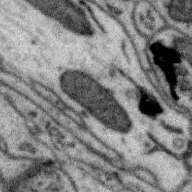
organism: Zebra finch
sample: Brain